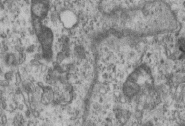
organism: Mouse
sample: Centriole in ependymal cells